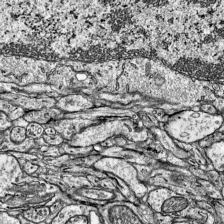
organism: Mouse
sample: Visual Cortex